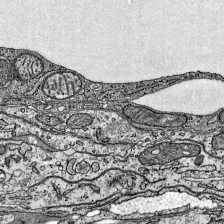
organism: Mouse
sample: Visual Cortex